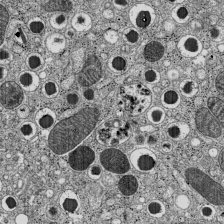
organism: C57BL Mouse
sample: Pancreatic islet